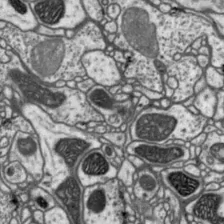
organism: Drosophila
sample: Protocerebral bridge